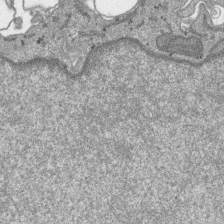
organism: Human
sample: Lung epithelial cells infected with SARS-CoV-2